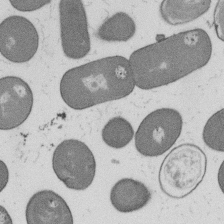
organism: B. subtilis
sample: Bacterial spore